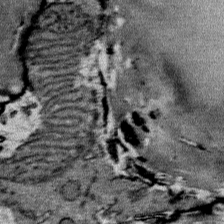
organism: Mouse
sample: Mouse Salivary gland